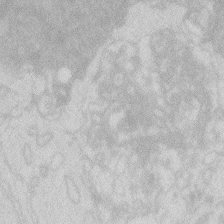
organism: Zebrafish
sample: Macrophage